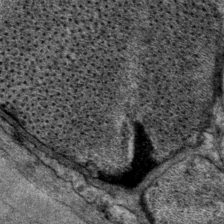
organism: P. pacificus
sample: Pharynx